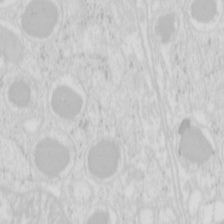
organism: Mouse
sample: Pancreas